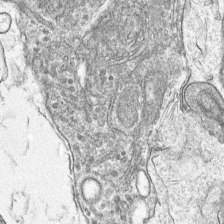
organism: Mouse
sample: Mouse hepatocytes